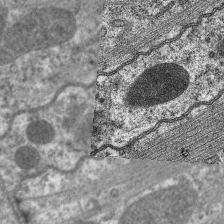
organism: C. elegans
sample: Pharynx